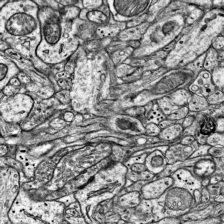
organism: Mouse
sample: Visual Cortex